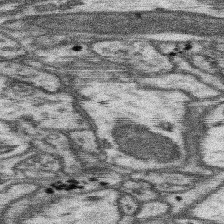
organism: Mouse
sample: Somatosensory cortex neuropil